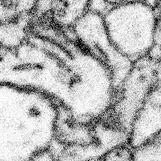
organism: Mouse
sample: Somatosensory cortex neuropil